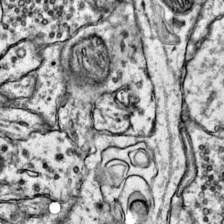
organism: Mouse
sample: Primary visual cortex